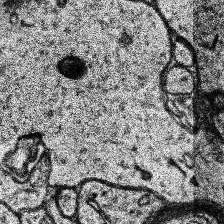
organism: Human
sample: Temporal Lobe